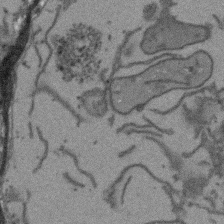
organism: Arabidopsis thaliana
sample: Root tip